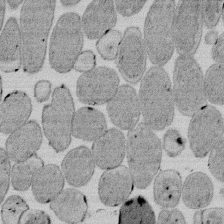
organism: E. coli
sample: Bacterial nucleoid